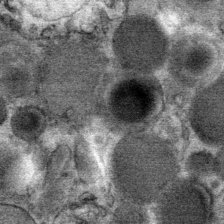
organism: Mouse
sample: Mouse Salivary gland